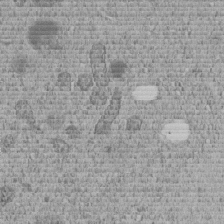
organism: C. elegans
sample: C. elegans embryo early stage